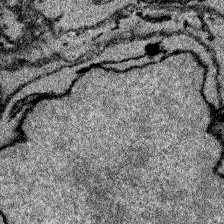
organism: Zebrafish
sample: Larval olfactory bulb